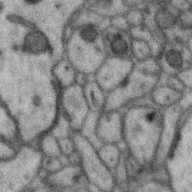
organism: Zebra finch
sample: Brain